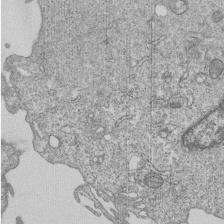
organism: Human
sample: MDA-MB-231 cells